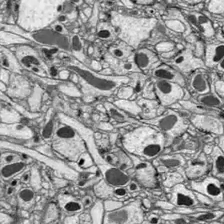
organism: Drosophila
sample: Optic lobe